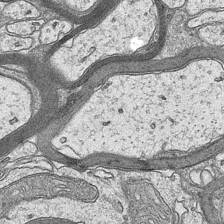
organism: Mouse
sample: CA1 Hippocampus